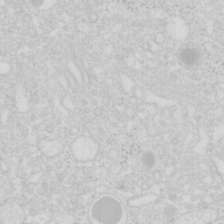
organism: Mouse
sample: Pancreas